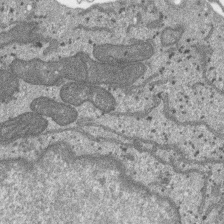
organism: Human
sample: Lung epithelial cells infected with SARS-CoV-2